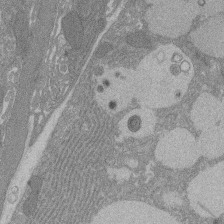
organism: Rat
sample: Salivary granule